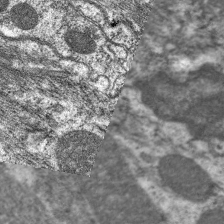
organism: C. elegans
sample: Pharynx